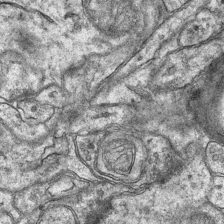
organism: Mouse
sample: CA1 Hippocampus